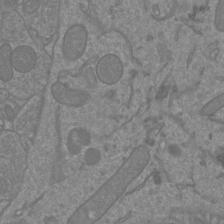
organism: Mouse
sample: Cortical neurons